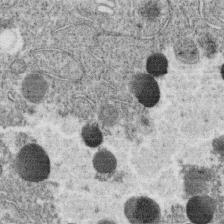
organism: C. elegans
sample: C. elegans oocyte; sperm cells